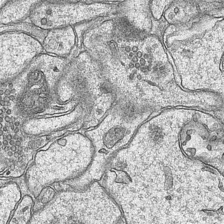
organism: Mouse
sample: CA1 Hippocampus